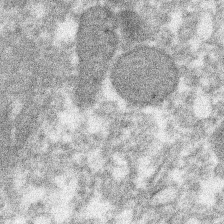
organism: Xenopus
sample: Cilia; centrioles in frog embryo cells